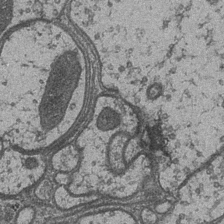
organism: Drosophila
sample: Optic medulla